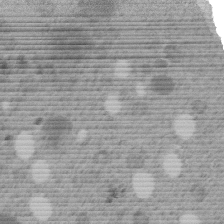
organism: C. elegans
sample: C. elegans embryo early stage